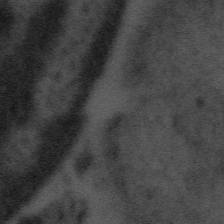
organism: Tuwongella immobilis